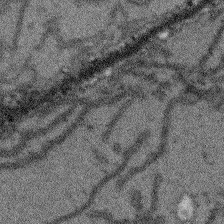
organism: Arabidopsis thaliana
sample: Root tip